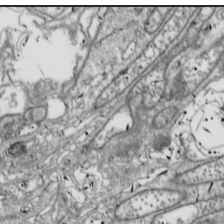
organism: Drosophila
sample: Cell division; meiosis; drosophila spermatocytes